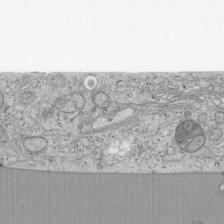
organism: Human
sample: HeLa cells